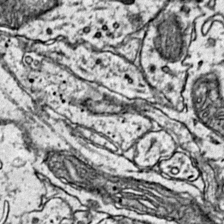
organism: Mouse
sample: Primary visual cortex